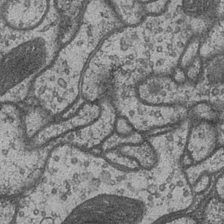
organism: Drosophila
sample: Optic medulla